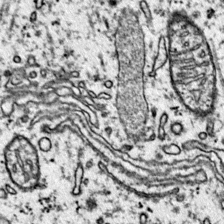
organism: Mouse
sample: Primary visual cortex